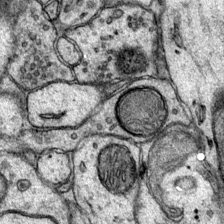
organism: Mouse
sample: Primary visual cortex